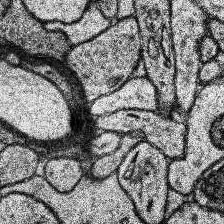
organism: Human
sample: Temporal Lobe